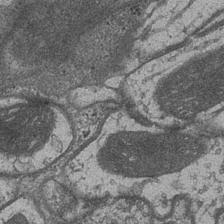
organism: Drosophila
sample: Optic medulla